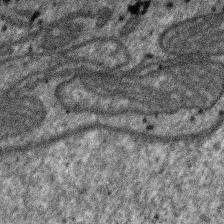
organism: Human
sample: Lung epithelial cells infected with SARS-CoV-2